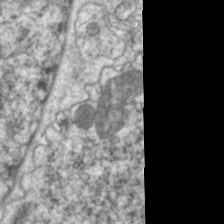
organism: C. elegans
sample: Pharynx